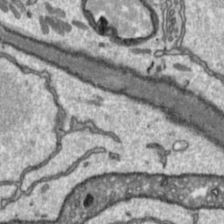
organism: Toxoplasma gondii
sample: Parasites in a vacuole inside a host cell